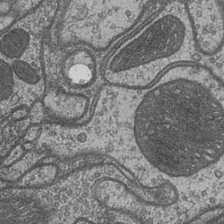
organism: Drosophila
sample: Optic medulla